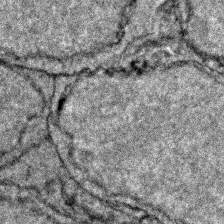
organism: Zebrafish